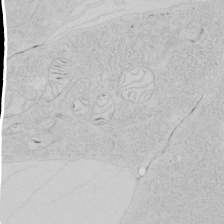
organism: Human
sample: Mitochondria in HCT116 cells